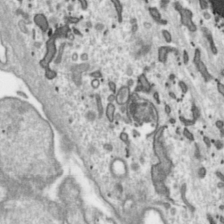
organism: Toxoplasma gondii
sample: Parasites in a vacuole inside a host cell